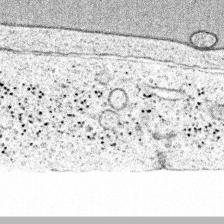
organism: Human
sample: HeLa cells